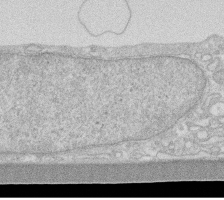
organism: Human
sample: Fibroblast cells